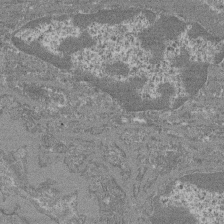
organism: Mouse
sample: Glomerulus